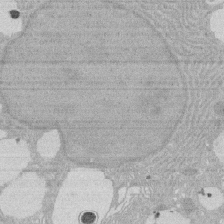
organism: Rat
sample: Salivary granule